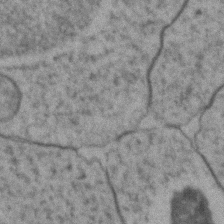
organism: Zebrafish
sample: Zebrafish embryo